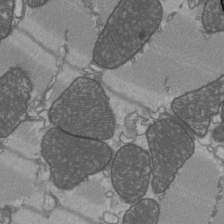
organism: C57BL Mouse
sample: Heart